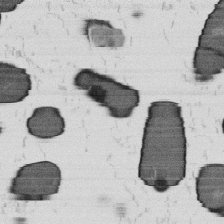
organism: B. subtilis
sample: Bacterial spore